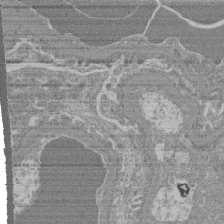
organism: Mouse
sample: Glomerulus